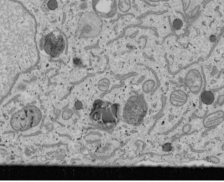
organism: Human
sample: Mitochondria in U2OS cells